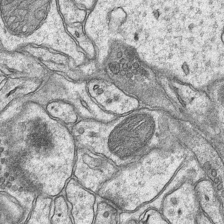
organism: Mouse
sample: CA1 Hippocampus